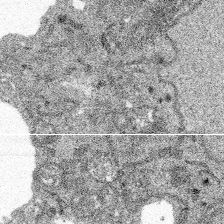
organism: Spongilla lacustris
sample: Multiple